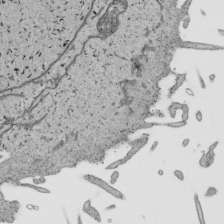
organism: Human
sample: Mitochondria in HCT116 cells